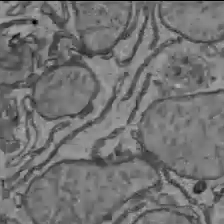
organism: C57BL Mouse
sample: Liver